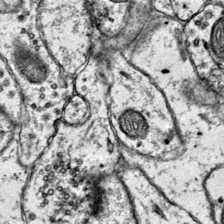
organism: Mouse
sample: Primary visual cortex